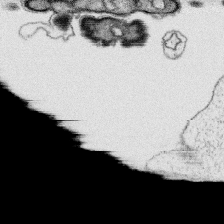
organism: Platynereis dumerilii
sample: Parapodia